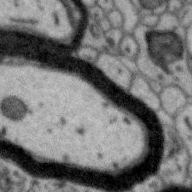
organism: Zebra finch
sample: Brain